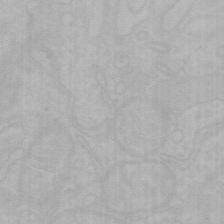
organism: Mouse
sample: Choroid plexus